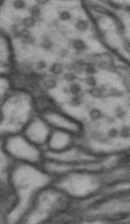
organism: Drosophila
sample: Brain